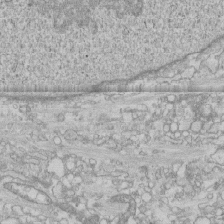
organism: Human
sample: CRL-1474